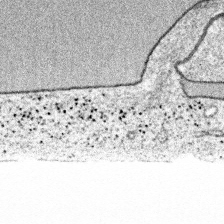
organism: Human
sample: HeLa cells